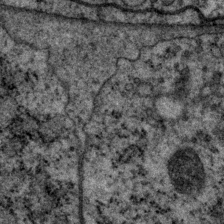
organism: P. pacificus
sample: Pharynx